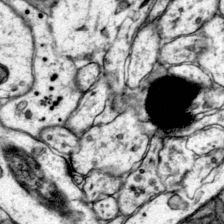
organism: Mouse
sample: Primary visual cortex